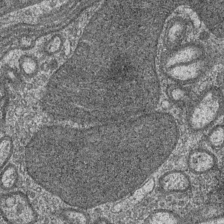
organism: Drosophila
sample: Optic medulla